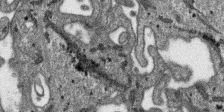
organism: Human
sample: Lung epithelial cells infected with SARS-CoV-2